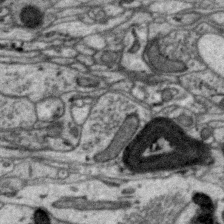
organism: Zebra finch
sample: Brain